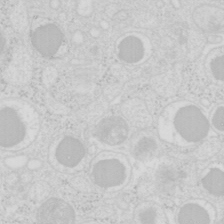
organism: Mouse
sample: Pancreas